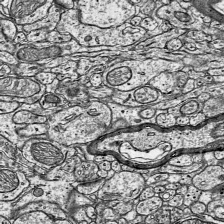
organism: Mouse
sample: Visual Cortex